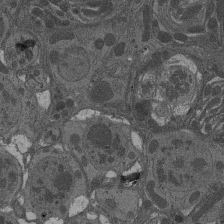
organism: Drosophila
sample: Antenna